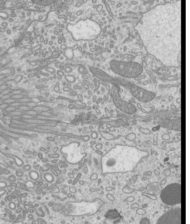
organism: Mouse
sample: Cilia; mouse epididymis